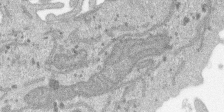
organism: Human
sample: Lung epithelial cells infected with SARS-CoV-2